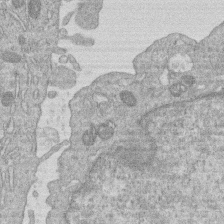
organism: Human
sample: Macrophage cells